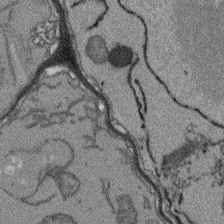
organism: Arabidopsis thaliana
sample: Root tip